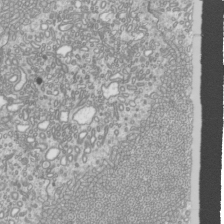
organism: Mouse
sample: Cilia; mouse epididymis